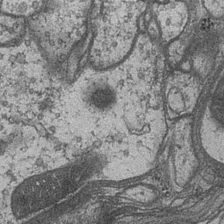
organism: Drosophila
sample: Optic medulla